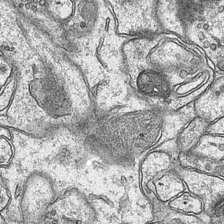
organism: Mouse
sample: CA1 Hippocampus